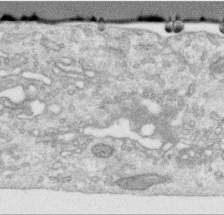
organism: Human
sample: Centriole in RPE cells